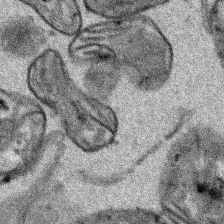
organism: Human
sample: Mitochondria in HCT116 cells